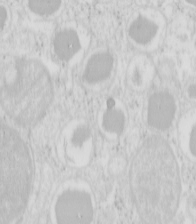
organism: Mouse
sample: Pancreas